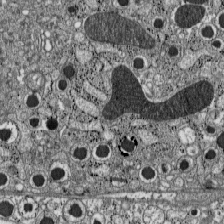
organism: C57BL Mouse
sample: Pancreatic islet